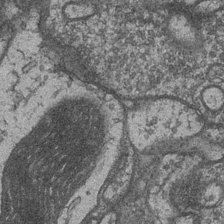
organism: Drosophila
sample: Optic medulla